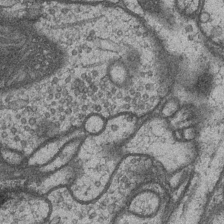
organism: Drosophila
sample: Optic medulla